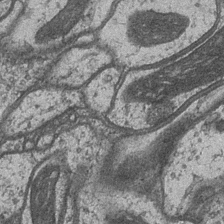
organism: Drosophila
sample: Optic medulla